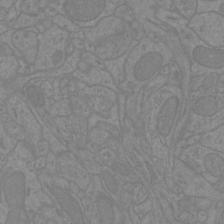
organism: Mouse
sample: Cortical neurons